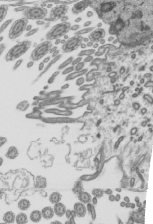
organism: Mouse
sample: Mouse epididymis efferent ductule cilia